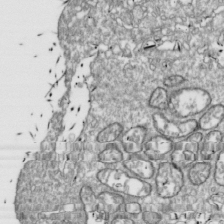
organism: Drosophila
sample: Cell division; meiosis; drosophila spermatocytes